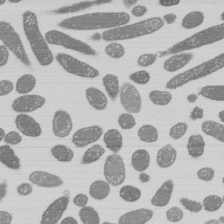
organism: E. coli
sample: Bacterial nucleoid